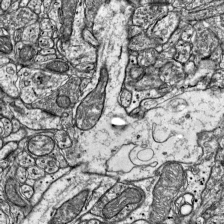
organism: Mouse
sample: Visual Cortex